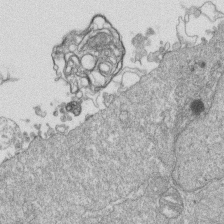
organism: Human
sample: HeLa cell HIV synapse